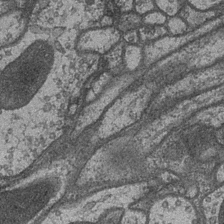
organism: Drosophila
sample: Optic medulla